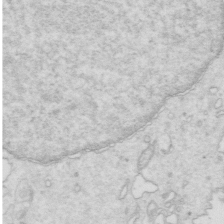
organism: Mouse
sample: Multiciliated cells